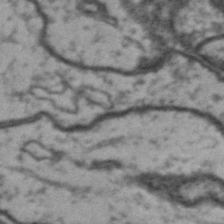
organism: Drosophila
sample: Brain